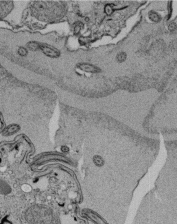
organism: Tetrahymena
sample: Cilia in tetrahymena